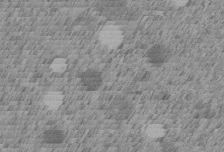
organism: C. elegans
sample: C. elegans embryo early stage